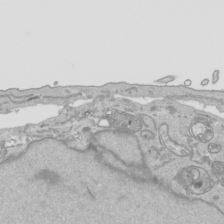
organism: Human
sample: Mitochondria in HCT116 cells